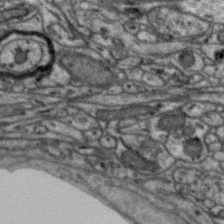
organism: Zebra finch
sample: Brain